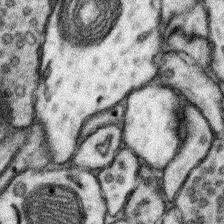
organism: Mouse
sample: Somatosensory cortex neuropil